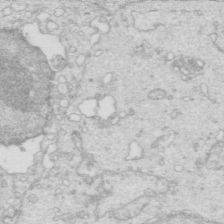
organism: Mouse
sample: Multiciliated cells